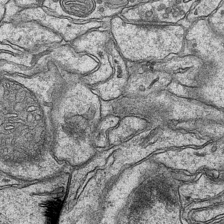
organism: Mouse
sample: CA1 Hippocampus